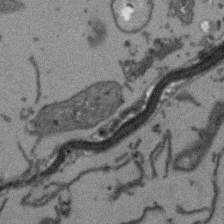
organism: Arabidopsis thaliana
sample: Root tip